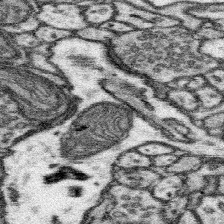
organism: Mouse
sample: Somatosensory cortex neuropil